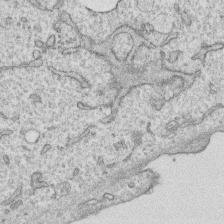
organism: Human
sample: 1205lu cells